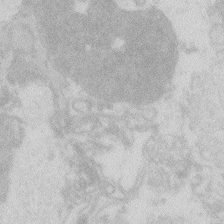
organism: Zebrafish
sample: Macrophage